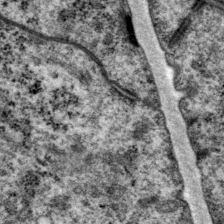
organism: P. pacificus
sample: Pharynx